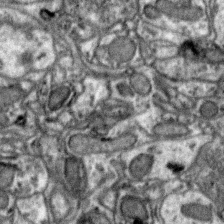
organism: Zebra finch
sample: Brain